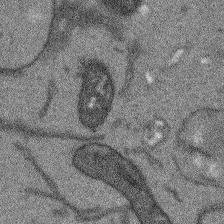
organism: Arabidopsis thaliana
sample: Root tip